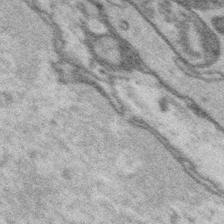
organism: Platynereis dumerilii